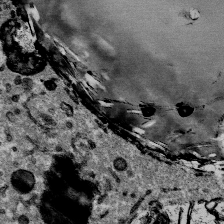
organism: Mouse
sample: Mouse Salivary gland